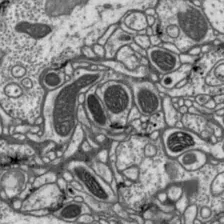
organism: Drosophila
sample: Protocerebral bridge